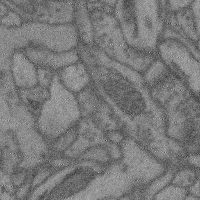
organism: Mouse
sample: Cerebral cortex